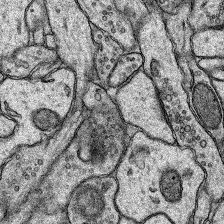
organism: Rat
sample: Hippocampus